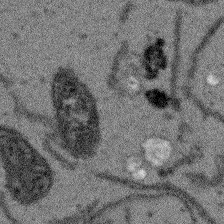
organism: Arabidopsis thaliana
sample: Root tip